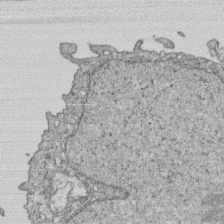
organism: Human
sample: HeLa cell HIV synapse